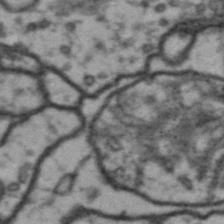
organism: Drosophila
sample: Brain